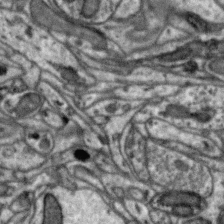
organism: Zebra finch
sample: Brain